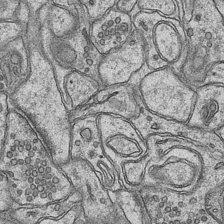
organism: Mouse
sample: CA1 Hippocampus